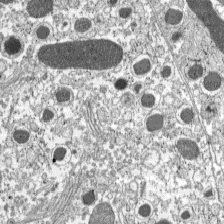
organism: C57BL Mouse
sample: Pancreatic islet